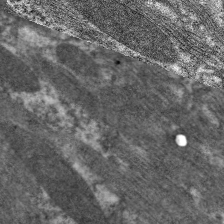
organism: C. elegans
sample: Pharynx